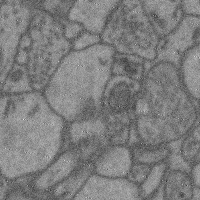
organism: Mouse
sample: Cerebral cortex